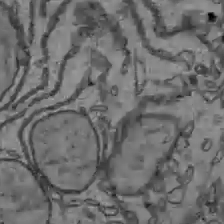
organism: C57BL Mouse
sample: Liver